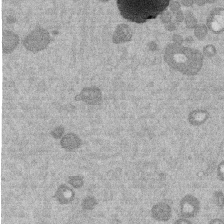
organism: Mouse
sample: Dividing mouse embryo 1 cell stage